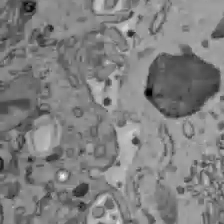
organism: C57BL Mouse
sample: Liver